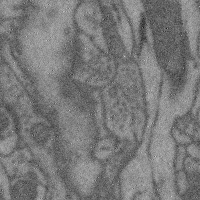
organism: Mouse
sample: Cerebral cortex